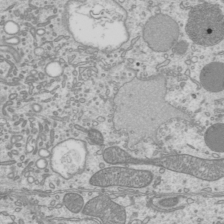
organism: Mouse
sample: Cilia; mouse epididymis